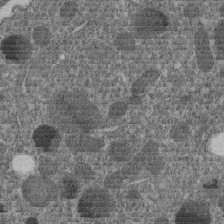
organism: C. elegans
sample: C. elegans embryo early stage